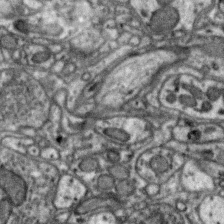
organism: Zebra finch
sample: Brain